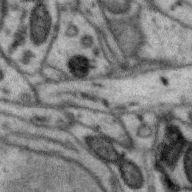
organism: Zebra finch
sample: Brain